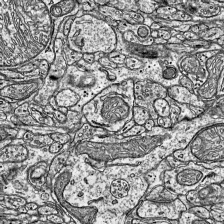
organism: Mouse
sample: Visual Cortex